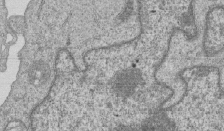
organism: Human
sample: MDA-MB-231 cells